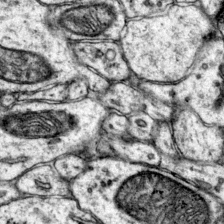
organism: Mouse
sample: Primary visual cortex